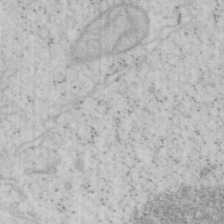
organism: Human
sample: HeLa cells